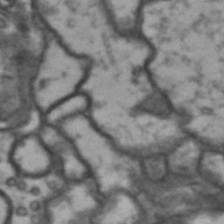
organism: Drosophila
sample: Brain